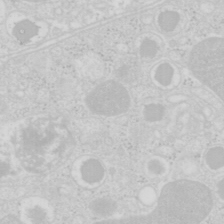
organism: Mouse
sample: Pancreas